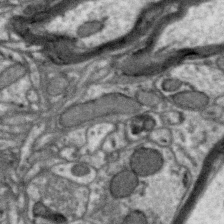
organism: Zebra finch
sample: Brain